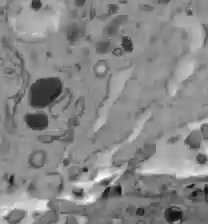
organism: C57BL Mouse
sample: Liver